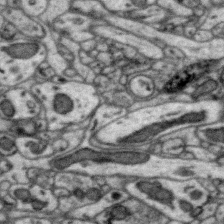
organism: Zebra finch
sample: Brain